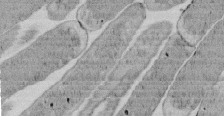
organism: E. coli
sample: Bacterial nucleoid